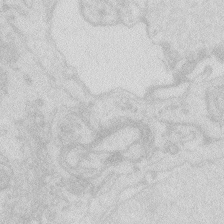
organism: Zebrafish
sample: Macrophage